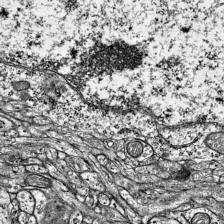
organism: Mouse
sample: Visual Cortex